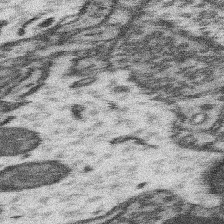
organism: Mouse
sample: Somatosensory cortex neuropil